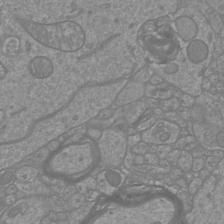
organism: Mouse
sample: Cortical neurons